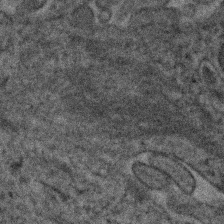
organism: Human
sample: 1205lu cells